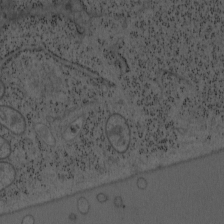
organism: Mouse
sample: OT-I killer T cells with ID8 ovarian cancer cells